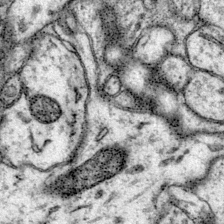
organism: Mouse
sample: Primary visual cortex